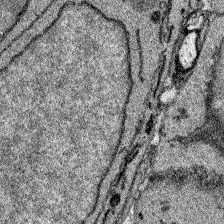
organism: Zebrafish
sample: Larval olfactory bulb